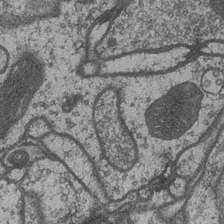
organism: Drosophila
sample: Optic medulla